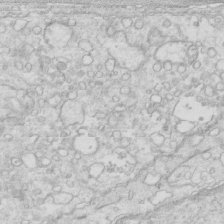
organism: Mouse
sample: Multiciliated cells